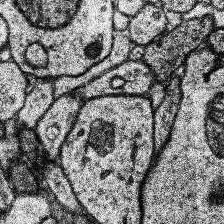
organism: Human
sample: Temporal Lobe